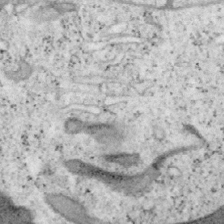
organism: Mouse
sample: OT-I killer T cells with ID8 ovarian cancer cells